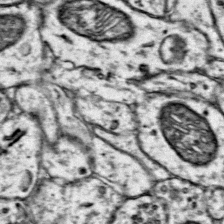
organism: Mouse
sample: Primary visual cortex